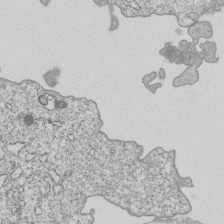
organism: Human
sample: MDA-MB-231 cells